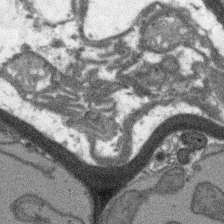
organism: Arabidopsis thaliana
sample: Root tip